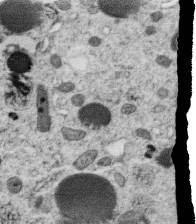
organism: C. elegans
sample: C. elegans oocyte; sperm cells